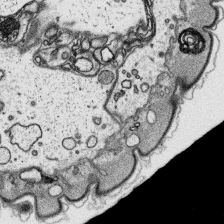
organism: Platynereis dumerilii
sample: Parapodia